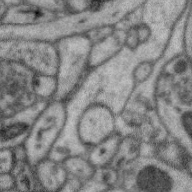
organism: Zebra finch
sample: Brain